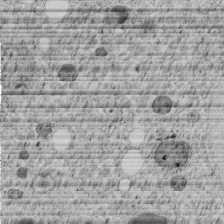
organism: C. elegans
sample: C. elegans embryo early stage